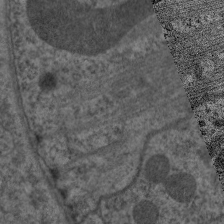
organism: C. elegans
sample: Pharynx